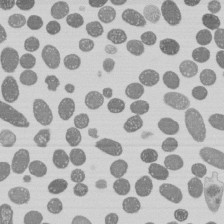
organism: E. coli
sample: Bacterial nucleoid